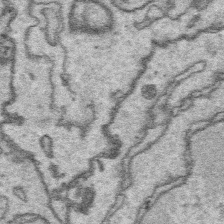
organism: Platynereis dumerilii